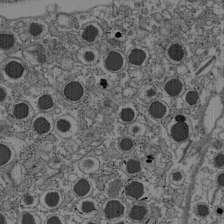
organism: C57BL Mouse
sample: Pancreatic islet